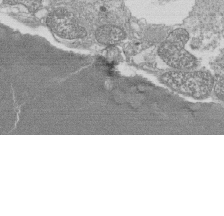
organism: Tetrahymena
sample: Cilia in tetrahymena